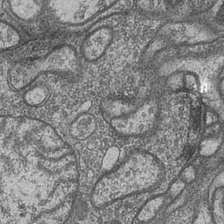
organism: Drosophila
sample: Optic medulla